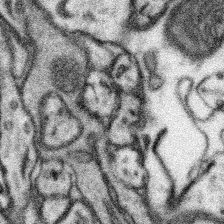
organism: Mouse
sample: Somatosensory cortex neuropil